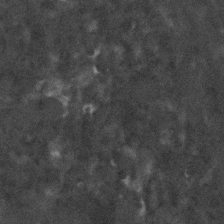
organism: C. elegans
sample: C. elegans embryo